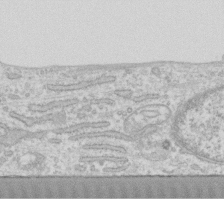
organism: Human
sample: Fibroblast cells